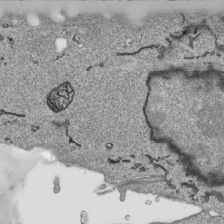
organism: Human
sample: Mitochondria in HCT116 cells